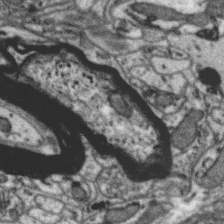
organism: Zebra finch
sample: Brain